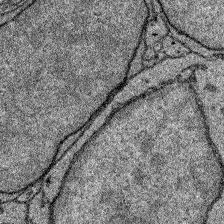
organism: Zebrafish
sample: Larval olfactory bulb